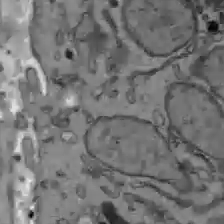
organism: C57BL Mouse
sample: Liver